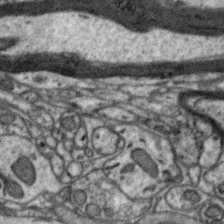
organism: Zebra finch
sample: Brain